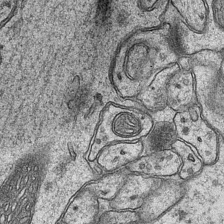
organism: Mouse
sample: CA1 Hippocampus